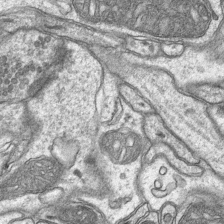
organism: Mouse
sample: CA1 Hippocampus